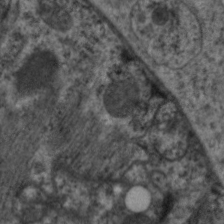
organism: C. elegans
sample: Pharynx